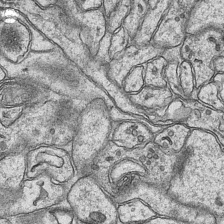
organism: Mouse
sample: CA1 Hippocampus